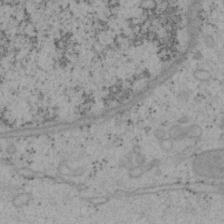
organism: Human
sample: HeLa cells